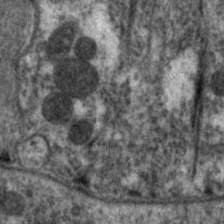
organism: C. elegans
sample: Pharynx